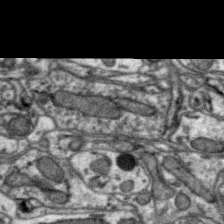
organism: Zebra finch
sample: Brain